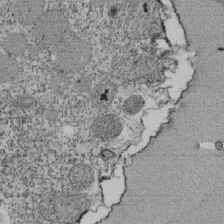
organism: Tetrahymena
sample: Cilia in tetrahymena